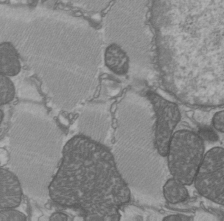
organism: C57BL Mouse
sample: Heart